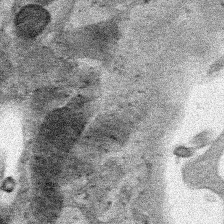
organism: Human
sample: Mitochondria in HCT116 cells